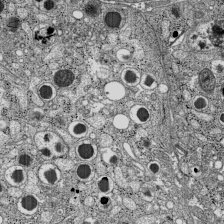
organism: C57BL Mouse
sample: Pancreatic islet